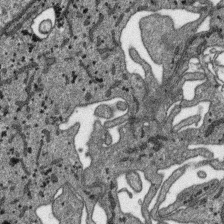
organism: Human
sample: Lung epithelial cells infected with SARS-CoV-2